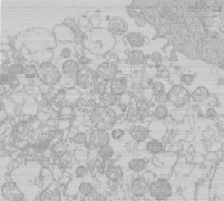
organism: Human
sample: Macrophage cells